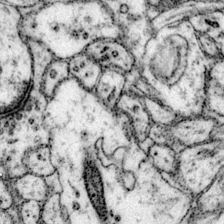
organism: Mouse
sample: Primary visual cortex